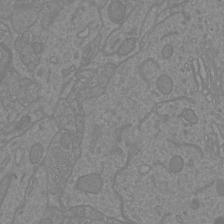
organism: Mouse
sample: Cortical neurons